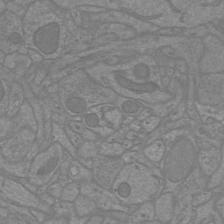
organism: Mouse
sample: Cortical neurons